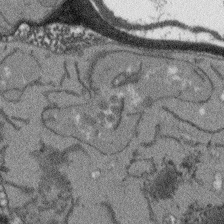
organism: Arabidopsis thaliana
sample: Root tip